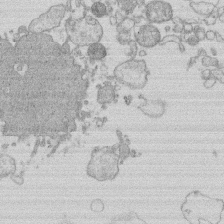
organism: Human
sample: Macrophage cells